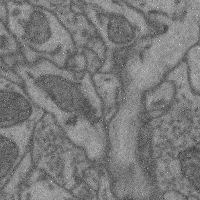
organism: Mouse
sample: Cerebral cortex